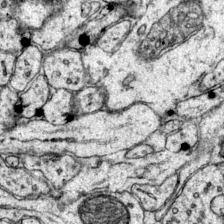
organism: Mouse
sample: Primary visual cortex